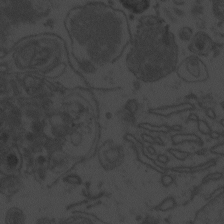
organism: Zebrafish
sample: Macrophage infected with Toxoplasma gondii